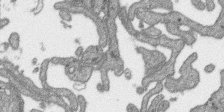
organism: Human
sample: Lung epithelial cells infected with SARS-CoV-2